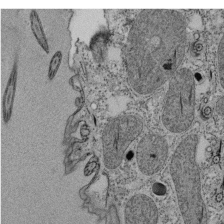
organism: Tetrahymena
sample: Cilia in tetrahymena